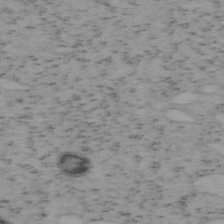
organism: Mouse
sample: OT-I killer T cells with ID8 ovarian cancer cells